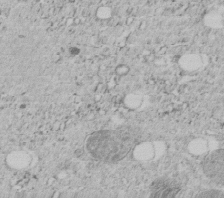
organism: C. elegans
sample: C. elegans embryo early stage